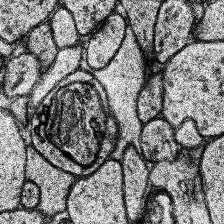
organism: Human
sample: Temporal Lobe